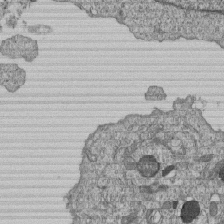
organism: Human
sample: MDA-MB-231 cells